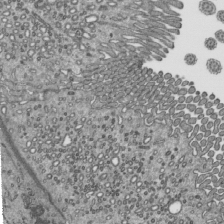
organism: Mouse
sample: Mouse epididymis efferent ductule cilia